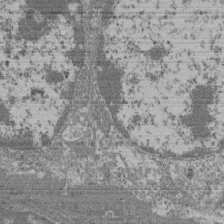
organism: Mouse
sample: Glomerulus